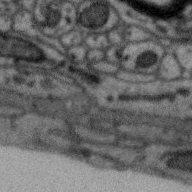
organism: Zebra finch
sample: Brain